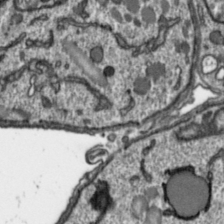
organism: Toxoplasma gondii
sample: Parasites in a vacuole inside a host cell